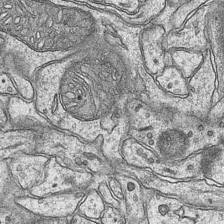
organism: Mouse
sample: CA1 Hippocampus